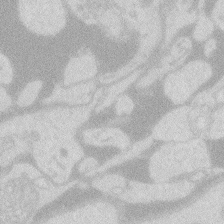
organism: Zebrafish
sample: Macrophage